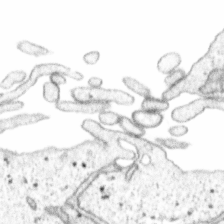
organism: Human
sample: HeLa cells